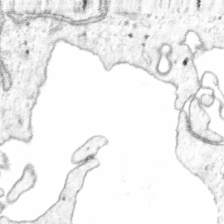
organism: Human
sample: HeLa cells